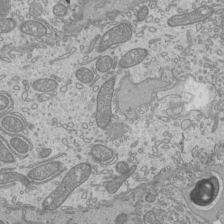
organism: Mouse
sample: Cilia; mouse epididymis